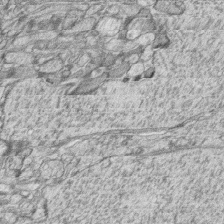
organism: Zebrafish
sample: synaptic ribbons in rod cells and cone cells